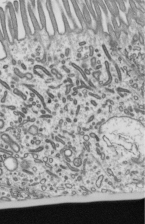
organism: Mouse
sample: Mouse epididymis efferent ductule cilia